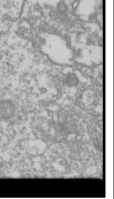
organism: Drosophila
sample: Cell division; meiosis; drosophila spermatocytes